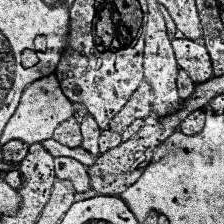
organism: Human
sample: Temporal Lobe